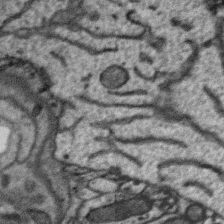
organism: Zebra finch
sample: Brain